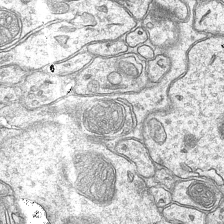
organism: Mouse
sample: CA1 Hippocampus